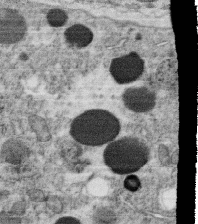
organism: C. elegans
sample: C. elegans oocyte; sperm cells